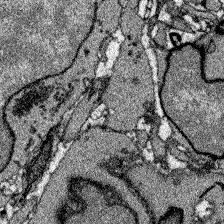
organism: Zebrafish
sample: Larval olfactory bulb